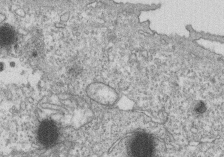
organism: Human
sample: HeLa cell HIV synapse